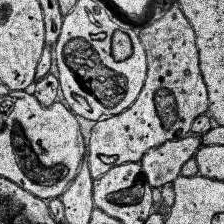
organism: Human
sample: Temporal Lobe